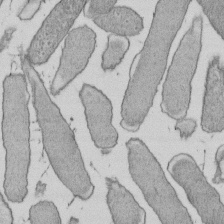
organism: E. coli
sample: Bacterial nucleoid